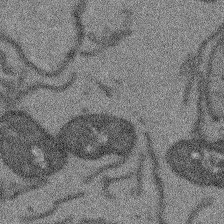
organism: Arabidopsis thaliana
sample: Root tip